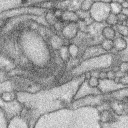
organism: Rabbit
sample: Retina